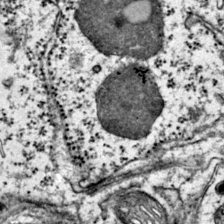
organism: Mouse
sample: Primary visual cortex